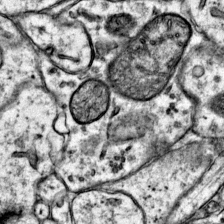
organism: Mouse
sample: Primary visual cortex